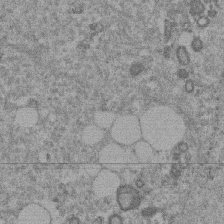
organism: Mouse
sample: Dividing mouse embryo 1 cell stage